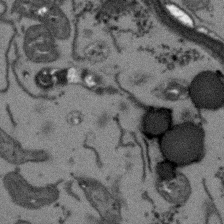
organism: Arabidopsis thaliana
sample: Root tip